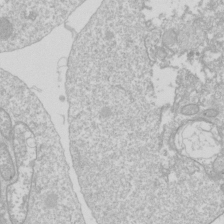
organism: Drosophila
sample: Cell division; meiosis; drosophila spermatocytes